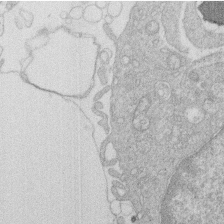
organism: Human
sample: Macrophage cells